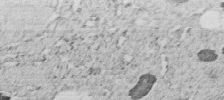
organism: C. elegans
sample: C. elegans embryo early stage